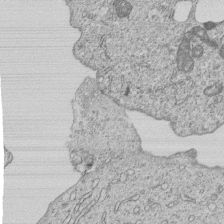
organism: Human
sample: MDA-MB-231 cells